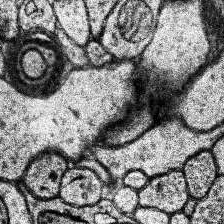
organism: Human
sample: Temporal Lobe